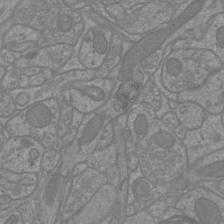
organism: Mouse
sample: Cortical neurons